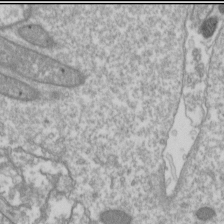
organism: Drosophila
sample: Cell division; meiosis; drosophila spermatocytes